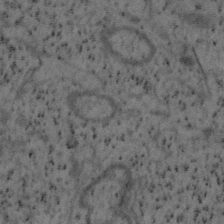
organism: Human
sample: HeLa cells